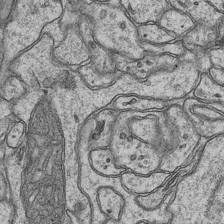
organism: Mouse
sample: CA1 Hippocampus